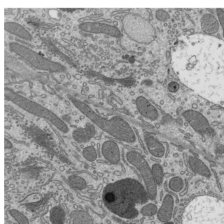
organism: Mouse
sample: Mouse epididymis efferent ductule cilia